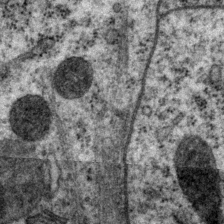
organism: P. pacificus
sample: Pharynx